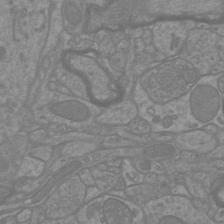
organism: Mouse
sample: Cortical neurons